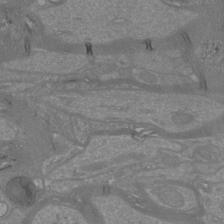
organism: Mouse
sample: Cortical neurons